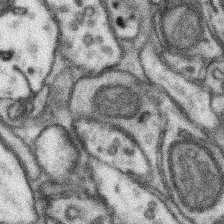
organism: Mouse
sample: Somatosensory cortex neuropil